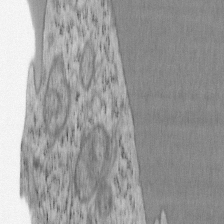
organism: Human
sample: HeLa cells